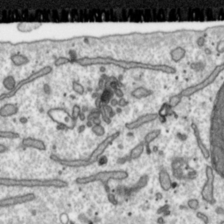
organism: Toxoplasma gondii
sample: Parasites in a vacuole inside a host cell